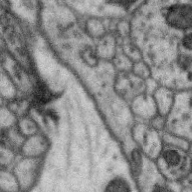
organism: Zebra finch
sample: Brain